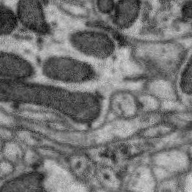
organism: Zebra finch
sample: Brain